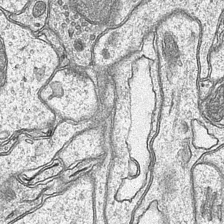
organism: Mouse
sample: CA1 Hippocampus